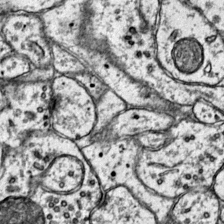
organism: Mouse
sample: Primary visual cortex